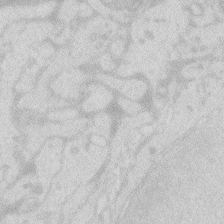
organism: Zebrafish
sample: Macrophage